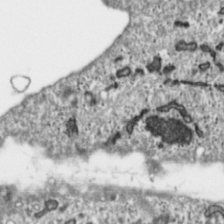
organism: Toxoplasma gondii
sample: Parasites in a vacuole inside a host cell